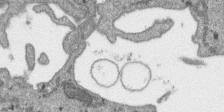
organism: Human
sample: Lung epithelial cells infected with SARS-CoV-2